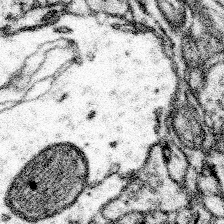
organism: Mouse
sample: Somatosensory cortex neuropil